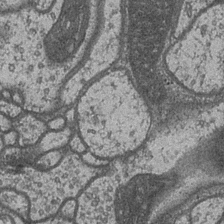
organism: Drosophila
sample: Optic medulla